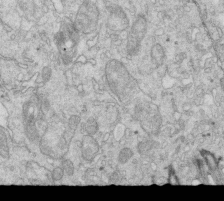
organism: Mouse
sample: Multiciliated cells